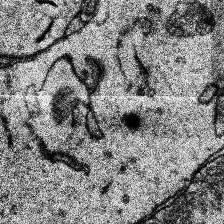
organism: Human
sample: Temporal Lobe